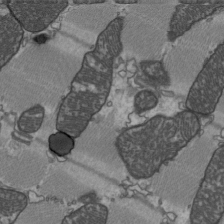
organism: C57BL Mouse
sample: Heart